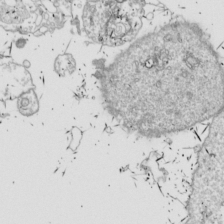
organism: Drosophila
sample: Cell division; meiosis; drosophila spermatocytes